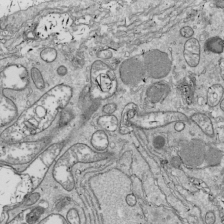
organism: Drosophila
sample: Cell division; meiosis; drosophila spermatocytes